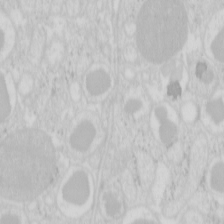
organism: Mouse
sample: Pancreas